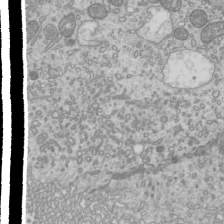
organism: Mouse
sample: Cilia; mouse epididymis